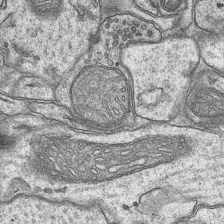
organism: Mouse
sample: CA1 Hippocampus